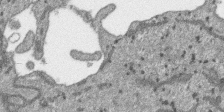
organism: Human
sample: Lung epithelial cells infected with SARS-CoV-2